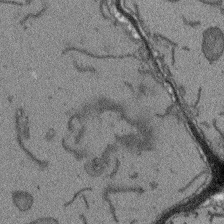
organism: Arabidopsis thaliana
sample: Root tip